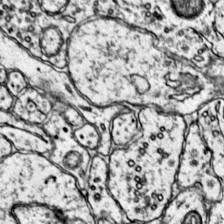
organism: Mouse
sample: Primary visual cortex